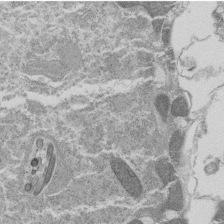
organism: Tetrahymena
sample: Cilia in tetrahymena